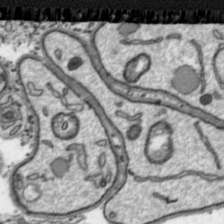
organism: Toxoplasma gondii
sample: Parasites in a vacuole inside a host cell